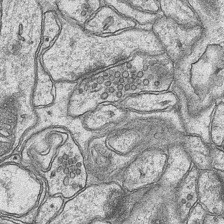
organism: Mouse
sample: CA1 Hippocampus